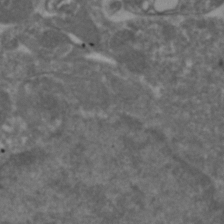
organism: Zebrafish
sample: Zebrafish embryo